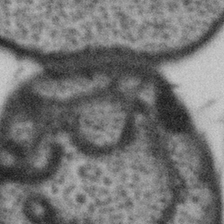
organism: Gemmata obscuriglobus